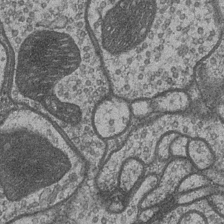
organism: Drosophila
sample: Optic medulla